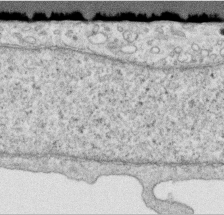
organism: Human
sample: Centriole in RPE cells